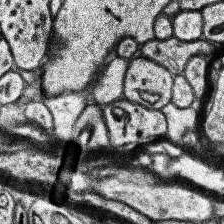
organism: Human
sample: Temporal Lobe